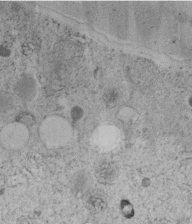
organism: C. elegans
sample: C. elegans embryo early stage